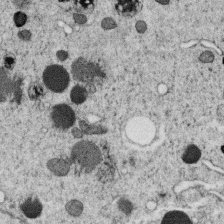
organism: C. elegans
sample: C. elegans oocyte; sperm cells